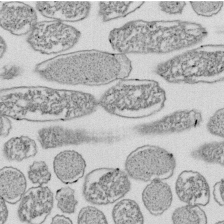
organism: E. coli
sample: Bacterial nucleoid